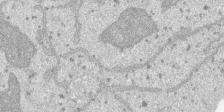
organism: Human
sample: Lung epithelial cells infected with SARS-CoV-2